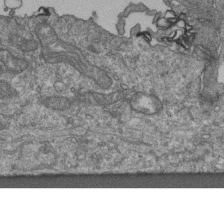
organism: Human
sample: Retinal organoid Rod and Cone cells